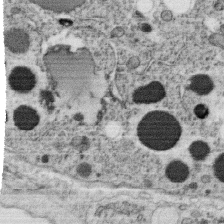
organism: C. elegans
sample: C. elegans oocyte; sperm cells